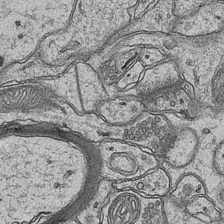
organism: Mouse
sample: CA1 Hippocampus